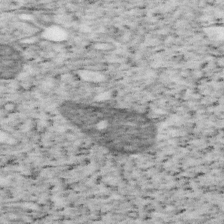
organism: Mouse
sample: OT-I killer T cells with ID8 ovarian cancer cells